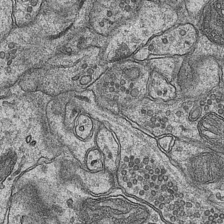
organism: Mouse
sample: CA1 Hippocampus